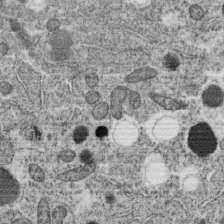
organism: C. elegans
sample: C. elegans oocyte; sperm cells